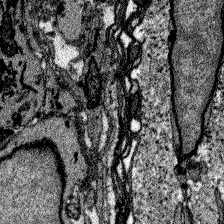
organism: Zebrafish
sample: Larval olfactory bulb